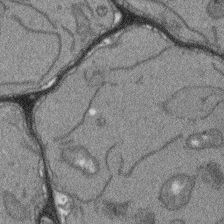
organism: Arabidopsis thaliana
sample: Root tip